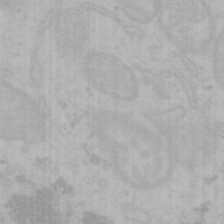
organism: Mouse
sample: Choroid plexus